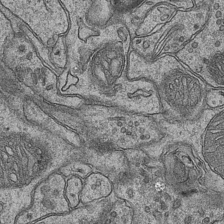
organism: Mouse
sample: CA1 Hippocampus